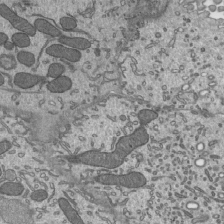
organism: Mouse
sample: Mouse epididymis efferent ductule cilia